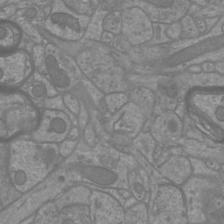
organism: Mouse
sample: Cortical neurons